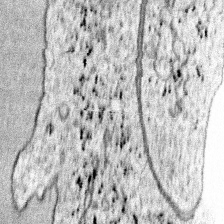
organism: Human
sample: HeLa cells